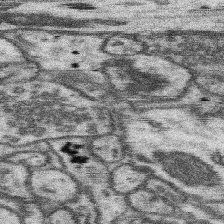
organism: Mouse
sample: Somatosensory cortex neuropil